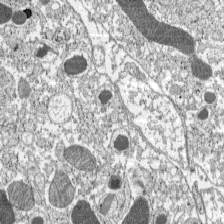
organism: C57BL Mouse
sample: Pancreatic islet